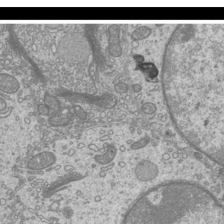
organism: Mouse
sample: Cilia; mouse epididymis